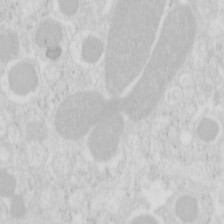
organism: Mouse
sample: Pancreas